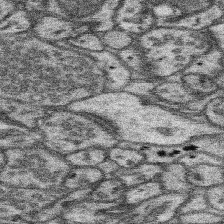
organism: Mouse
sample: Somatosensory cortex neuropil